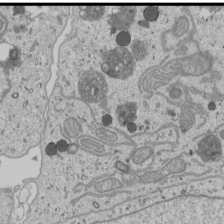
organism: Human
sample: Mitochondria in U2OS cells